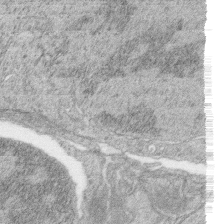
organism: Zebrafish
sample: synaptic ribbons in rod cells and cone cells